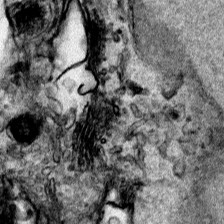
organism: Human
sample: Mitochondria in HCT116 cells